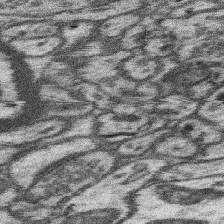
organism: Mouse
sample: Somatosensory cortex neuropil